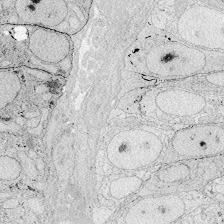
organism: Zebrafish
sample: Whole-Brain